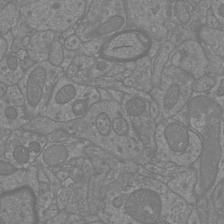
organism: Mouse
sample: Cortical neurons